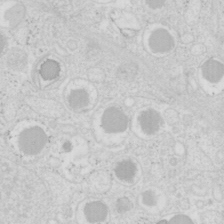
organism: Mouse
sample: Pancreas